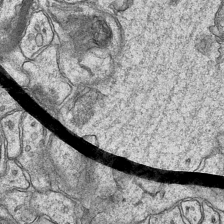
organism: Mouse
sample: CA1 Hippocampus